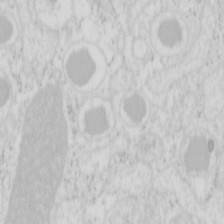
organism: Mouse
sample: Pancreas